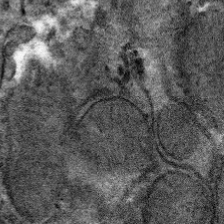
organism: Mouse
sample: Mouse hepatocytes